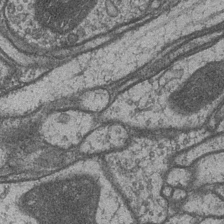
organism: Drosophila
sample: Optic medulla